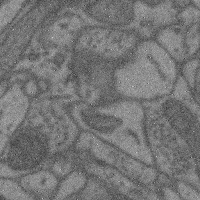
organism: Mouse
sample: Cerebral cortex